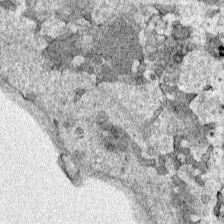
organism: Human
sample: Mitochondria in HCT116 cells